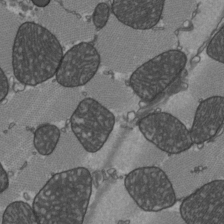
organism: C57BL Mouse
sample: Heart